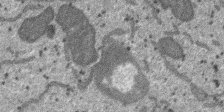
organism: Human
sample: Lung epithelial cells infected with SARS-CoV-2